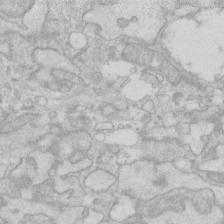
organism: Human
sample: Fibroblast cells